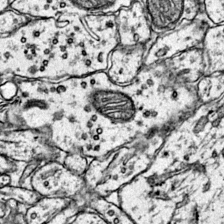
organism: Mouse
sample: Primary visual cortex